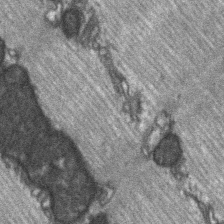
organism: C57BL Mouse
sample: Soleus